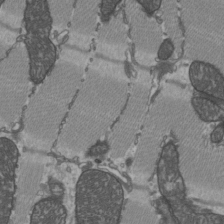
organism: C57BL Mouse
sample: Heart